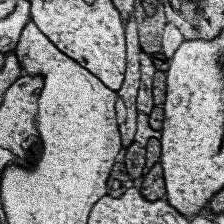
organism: Human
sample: Temporal Lobe